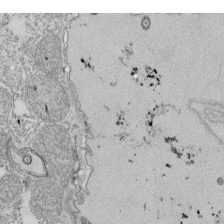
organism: Tetrahymena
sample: Cilia in tetrahymena